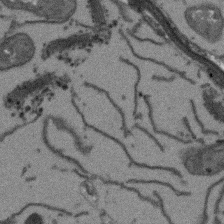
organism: Arabidopsis thaliana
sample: Root tip